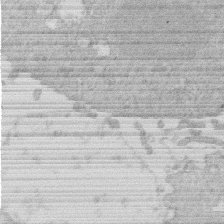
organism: Human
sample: Macrophage cells